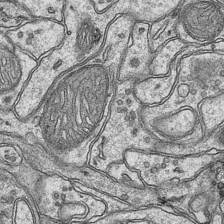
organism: Mouse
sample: CA1 Hippocampus